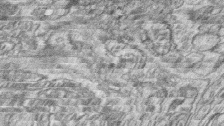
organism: Zebrafish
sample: synaptic ribbons in rod cells and cone cells